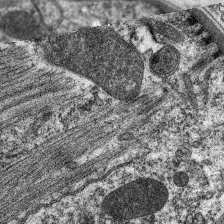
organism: C. elegans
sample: Pharynx